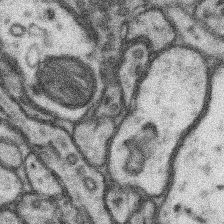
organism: Mouse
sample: Somatosensory cortex neuropil